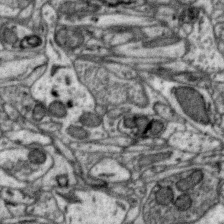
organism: Zebra finch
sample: Brain